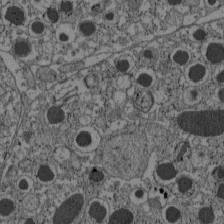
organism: C57BL Mouse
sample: Pancreatic islet